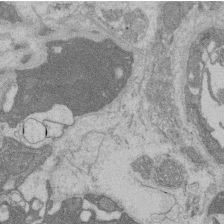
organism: Rat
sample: Salivary granule